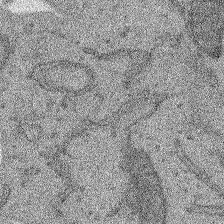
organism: Human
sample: HeLa cells